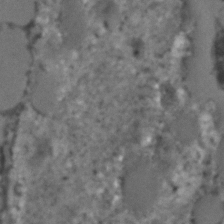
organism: C. elegans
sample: C. elegans embryo